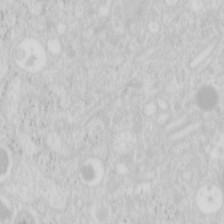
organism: Mouse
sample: Pancreas